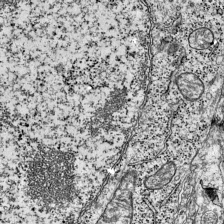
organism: Mouse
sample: Visual Cortex